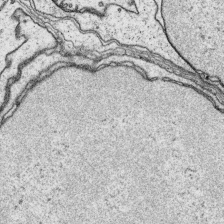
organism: Platynereis dumerilii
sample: Parapodia